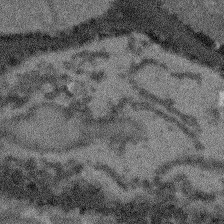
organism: Arabidopsis thaliana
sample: Root tip